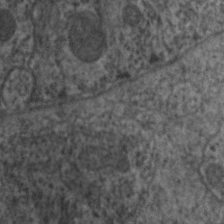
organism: C. elegans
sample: Pharynx